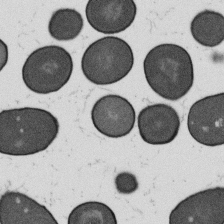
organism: B. subtilis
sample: Bacterial spore